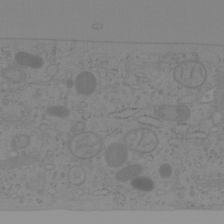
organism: Human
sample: HeLa cells